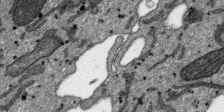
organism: Human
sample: Lung epithelial cells, uninfected (mock) control